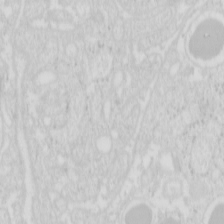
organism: Mouse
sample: Pancreas